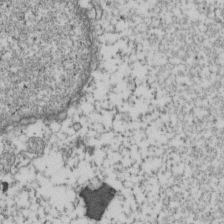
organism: Human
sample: Activated Jurkat CD4+ T cells